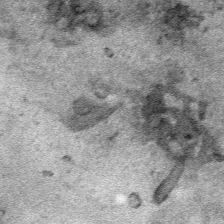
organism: Human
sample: Mitochondria in HCT116 cells